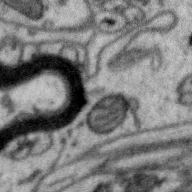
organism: Zebra finch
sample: Brain